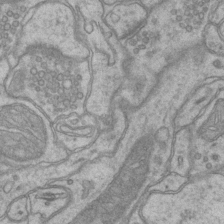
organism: Mouse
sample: CA1 Hippocampus